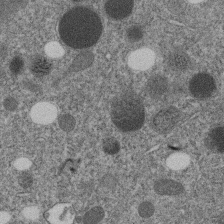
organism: C. elegans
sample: C. elegans embryo early stage